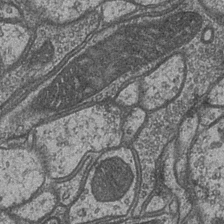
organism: Drosophila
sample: Optic medulla